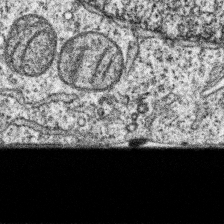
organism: Human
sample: HeLa cells